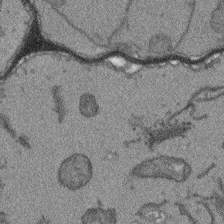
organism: Arabidopsis thaliana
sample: Root tip